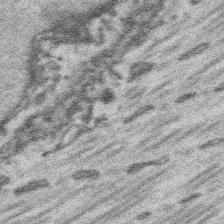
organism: Platynereis dumerilii